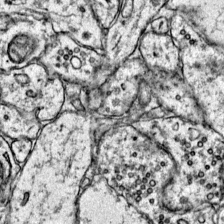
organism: Mouse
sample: Primary visual cortex